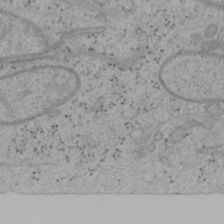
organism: Human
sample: HeLa cells